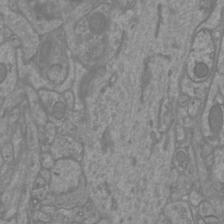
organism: Mouse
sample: Cortical neurons